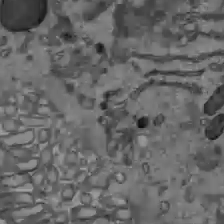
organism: C57BL Mouse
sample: Liver